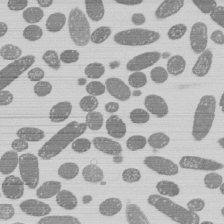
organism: E. coli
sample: Bacterial nucleoid